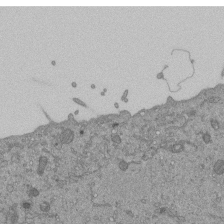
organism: Mouse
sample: ED-1 cell nuclei; centrioles